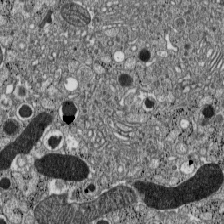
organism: C57BL Mouse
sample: Pancreatic islet